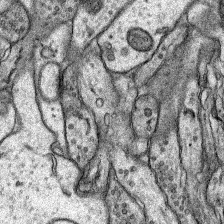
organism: Rat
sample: Hippocampus